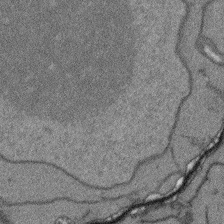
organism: Arabidopsis thaliana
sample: Root tip